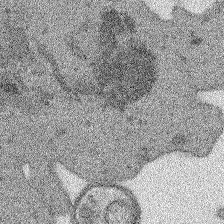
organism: Human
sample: HeLa cells